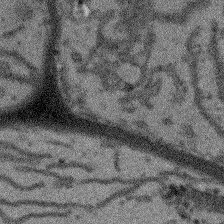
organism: Arabidopsis thaliana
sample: Root tip